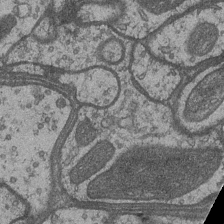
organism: Drosophila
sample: Optic medulla